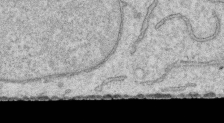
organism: Human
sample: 1205lu cells